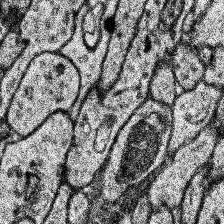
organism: Human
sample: Temporal Lobe